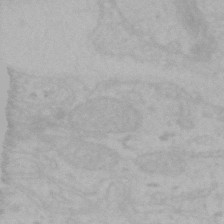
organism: Mouse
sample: Choroid plexus